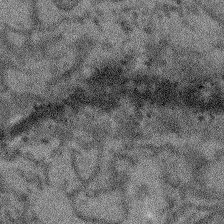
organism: Arabidopsis thaliana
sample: Root tip